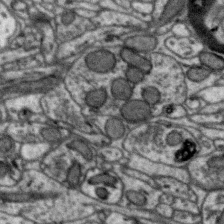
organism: Zebra finch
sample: Brain